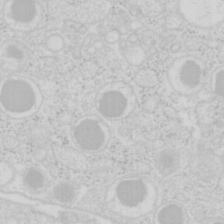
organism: Mouse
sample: Pancreas